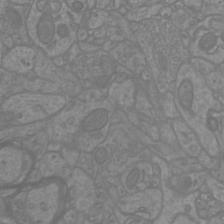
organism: Mouse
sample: Cortical neurons